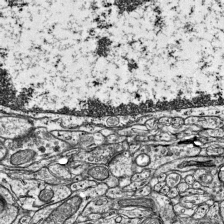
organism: Mouse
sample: Visual Cortex